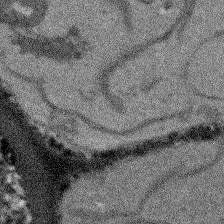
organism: Arabidopsis thaliana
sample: Root tip